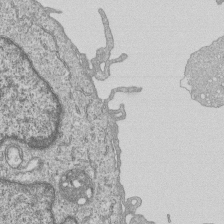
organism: Human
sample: MDA-MB-231 cells